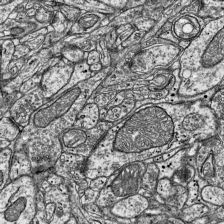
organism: Mouse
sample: Visual Cortex